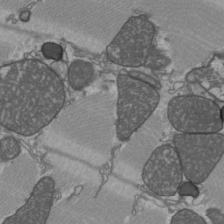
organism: C57BL Mouse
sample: Heart